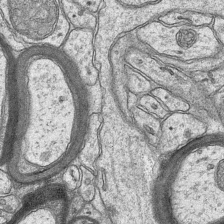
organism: Mouse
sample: CA1 Hippocampus